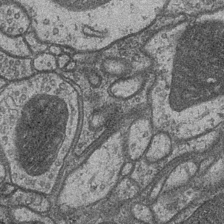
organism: Drosophila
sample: Optic medulla